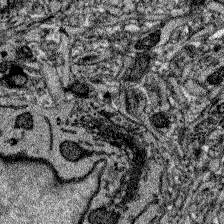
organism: Zebrafish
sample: Larval olfactory bulb